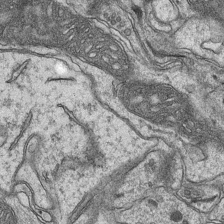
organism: Mouse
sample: CA1 Hippocampus